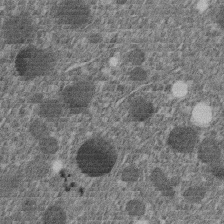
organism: C. elegans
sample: C. elegans embryo early stage